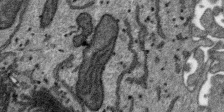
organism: Human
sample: Lung epithelial cells, uninfected (mock) control